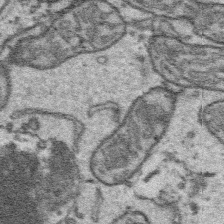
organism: Platynereis dumerilii